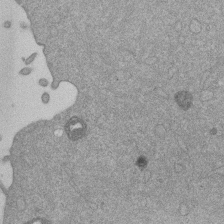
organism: Mouse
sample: Dividing mouse embryo 1 cell stage